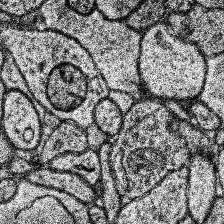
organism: Human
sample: Temporal Lobe